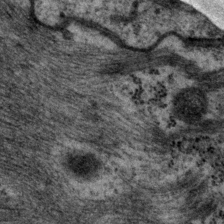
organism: P. pacificus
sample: Pharynx